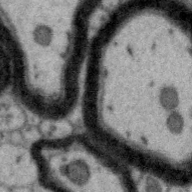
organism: Zebra finch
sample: Brain